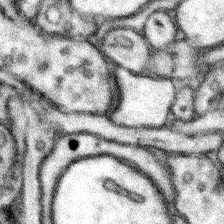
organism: Mouse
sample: Somatosensory cortex neuropil